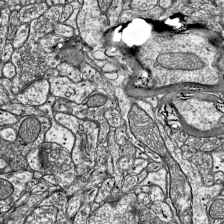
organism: Mouse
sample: Visual Cortex